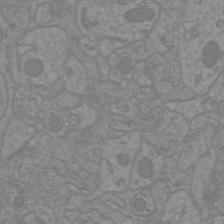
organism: Mouse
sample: Cortical neurons